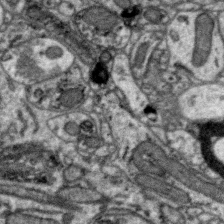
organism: Zebra finch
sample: Brain